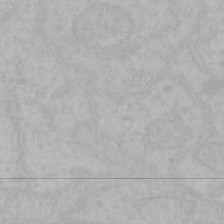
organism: Mouse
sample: Choroid plexus